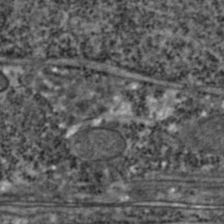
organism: Zebrafish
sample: Zebrafish embryo